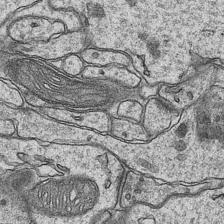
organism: Mouse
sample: CA1 Hippocampus